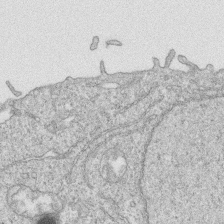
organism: Human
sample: HeLa cell HIV synapse